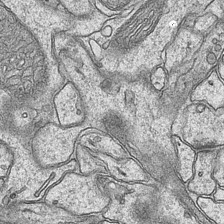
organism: Mouse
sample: CA1 Hippocampus